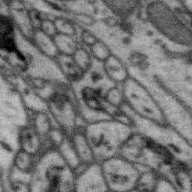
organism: Zebra finch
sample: Brain